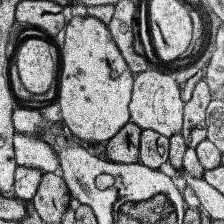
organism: Human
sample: Temporal Lobe